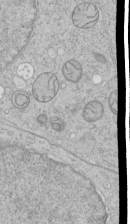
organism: Human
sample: Mitochondria in HCT116 cells